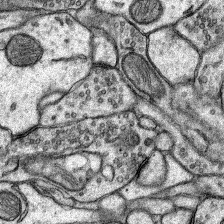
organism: Rat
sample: Hippocampus